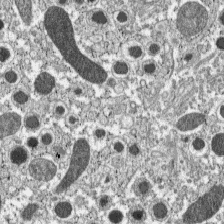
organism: C57BL Mouse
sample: Pancreatic islet